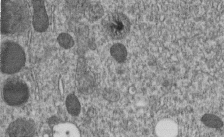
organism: C. elegans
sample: C. elegans embryo early stage